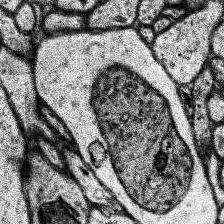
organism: Human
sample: Temporal Lobe